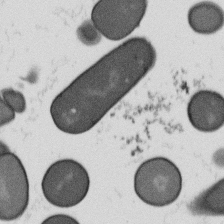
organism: B. subtilis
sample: Bacterial spore